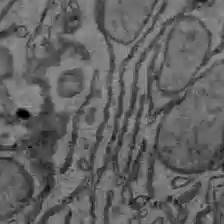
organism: C57BL Mouse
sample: Liver